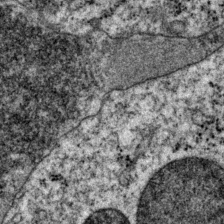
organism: P. pacificus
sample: Pharynx